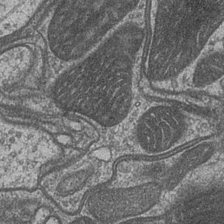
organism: Drosophila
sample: Optic medulla